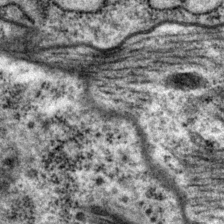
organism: P. pacificus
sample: Pharynx